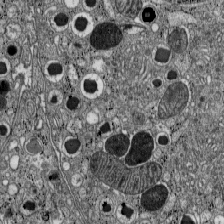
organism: C57BL Mouse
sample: Pancreatic islet